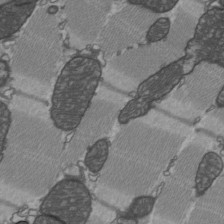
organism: C57BL Mouse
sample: Heart